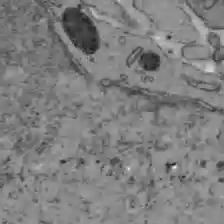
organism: C57BL Mouse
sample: Liver